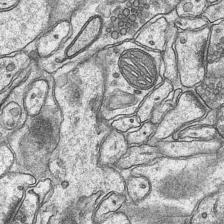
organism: Mouse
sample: CA1 Hippocampus